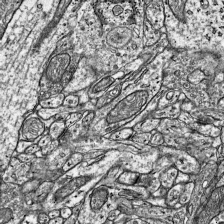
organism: Mouse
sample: Visual Cortex